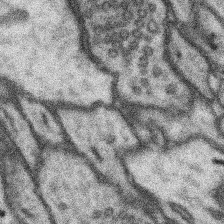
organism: Mouse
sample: Somatosensory cortex neuropil